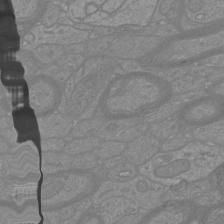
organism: Mouse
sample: Cortical neurons